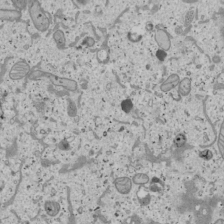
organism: Human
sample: Mitochondria in U2OS cells